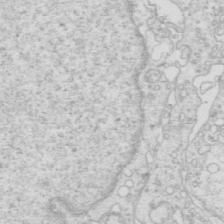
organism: Mouse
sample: Multiciliated cells